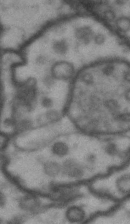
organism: Drosophila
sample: Brain